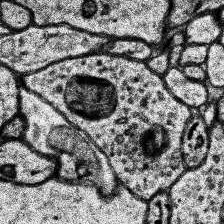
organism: Human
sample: Temporal Lobe